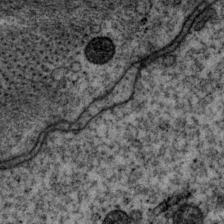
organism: P. pacificus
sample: Pharynx